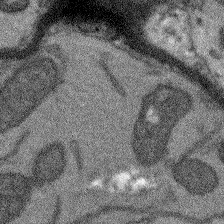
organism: Arabidopsis thaliana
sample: Root tip